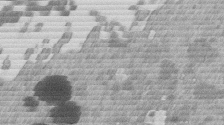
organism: Mouse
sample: Dividing mouse embryo 1 cell stage